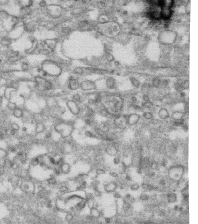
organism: Human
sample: CRL-1474